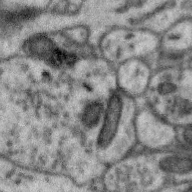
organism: Zebra finch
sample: Brain